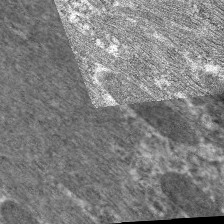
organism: C. elegans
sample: Pharynx